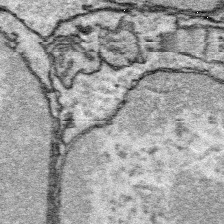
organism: Platynereis dumerilii